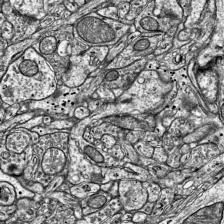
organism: Mouse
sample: Visual Cortex